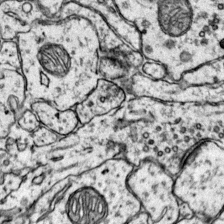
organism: Mouse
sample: Primary visual cortex